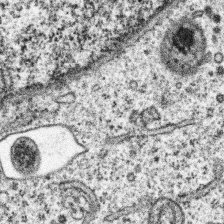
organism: Human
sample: HeLa cells